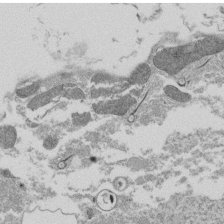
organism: Tetrahymena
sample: Cilia in tetrahymena